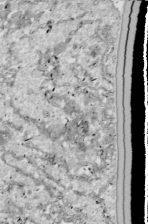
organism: Drosophila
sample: Cell division; meiosis; drosophila spermatocytes